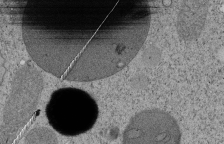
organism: Tetrahymena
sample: Cilia in tetrahymena